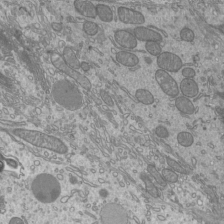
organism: Mouse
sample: Cilia; mouse epididymis